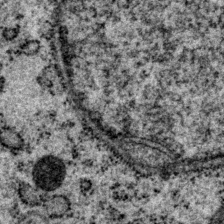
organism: P. pacificus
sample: Pharynx